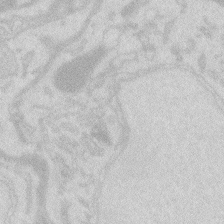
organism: Zebrafish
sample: Macrophage